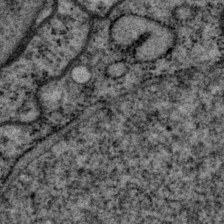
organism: P. pacificus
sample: Pharynx